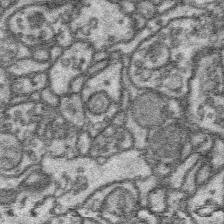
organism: Platynereis dumerilii